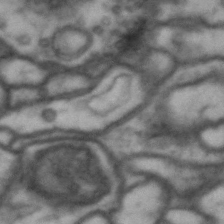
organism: Drosophila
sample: Brain